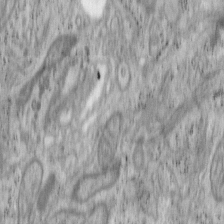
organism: Human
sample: HeLa cells